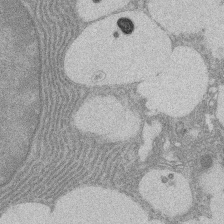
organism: Rat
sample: Salivary granule